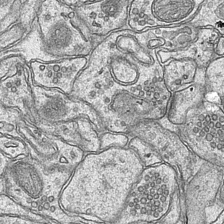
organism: Mouse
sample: CA1 Hippocampus